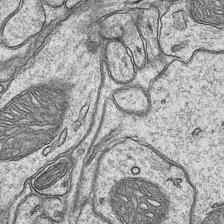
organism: Mouse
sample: CA1 Hippocampus